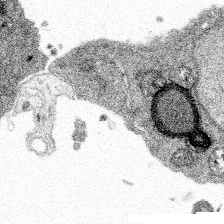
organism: Spongilla lacustris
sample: Multiple